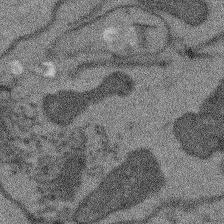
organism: Arabidopsis thaliana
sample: Root tip